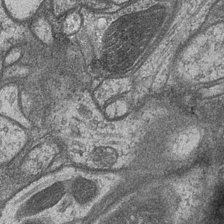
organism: Drosophila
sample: Optic medulla